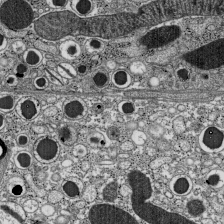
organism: C57BL Mouse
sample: Pancreatic islet